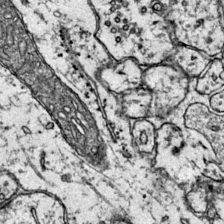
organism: Mouse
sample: Primary visual cortex